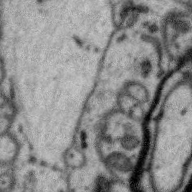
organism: Zebra finch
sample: Brain